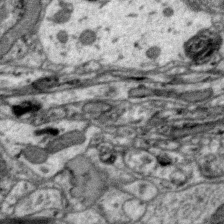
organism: Zebra finch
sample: Brain